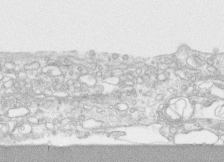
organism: Human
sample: CRL-1474